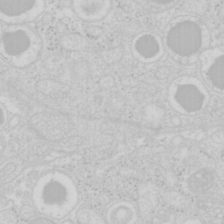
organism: Mouse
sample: Pancreas